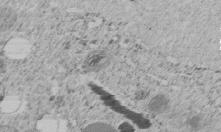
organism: C. elegans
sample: C. elegans embryo early stage